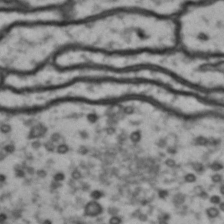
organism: Drosophila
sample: Brain